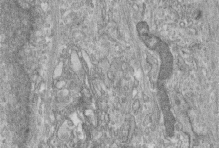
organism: Human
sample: Centriole in fibroblast cells